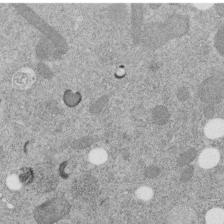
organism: C. elegans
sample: C. elegans embryo early stage